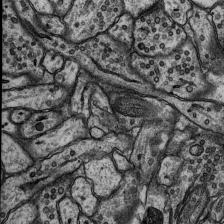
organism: Rat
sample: Hippocampus